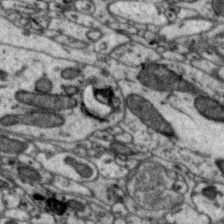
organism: Zebra finch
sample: Brain